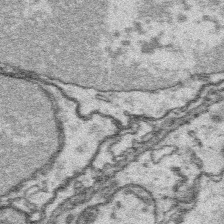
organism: Platynereis dumerilii